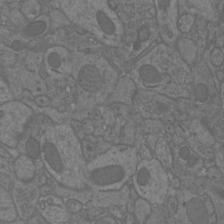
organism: Mouse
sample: Cortical neurons